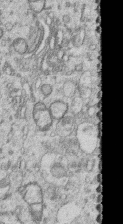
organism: Human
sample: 1205lu cells